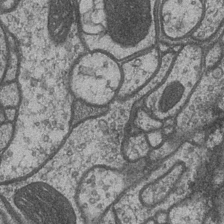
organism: Drosophila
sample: Optic medulla